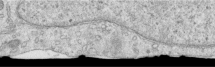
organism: Human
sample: Centriole in RPE cells